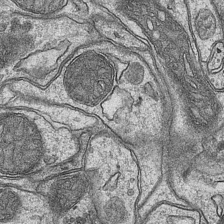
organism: Mouse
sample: CA1 Hippocampus